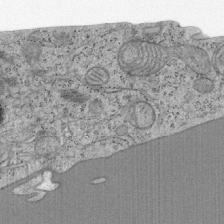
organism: Human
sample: HeLa cells